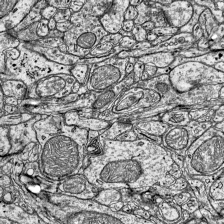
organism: Mouse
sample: Visual Cortex